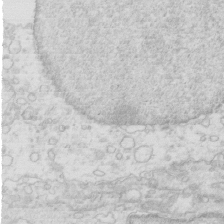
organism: Mouse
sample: Multiciliated cells